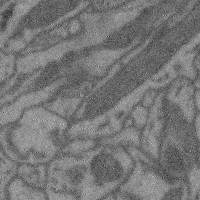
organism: Mouse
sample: Cerebral cortex